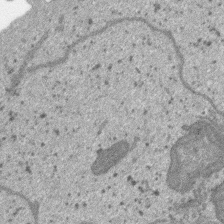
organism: Human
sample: Lung epithelial cells infected with SARS-CoV-2